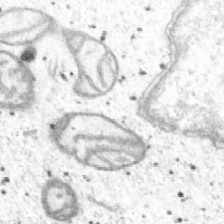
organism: Human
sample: HeLa cells